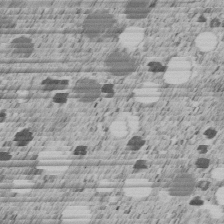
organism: C. elegans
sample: C. elegans embryo early stage